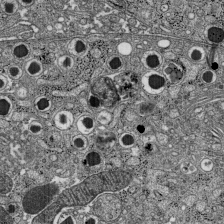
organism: C57BL Mouse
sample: Pancreatic islet